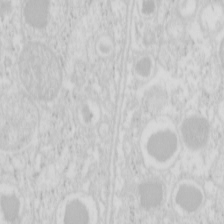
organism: Mouse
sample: Pancreas